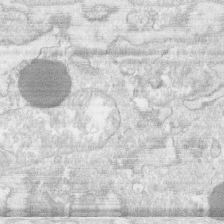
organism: Human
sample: CRL-1474